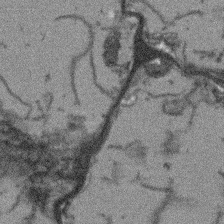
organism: Arabidopsis thaliana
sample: Root tip